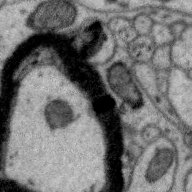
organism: Zebra finch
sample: Brain